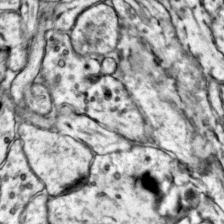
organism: Mouse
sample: Primary visual cortex